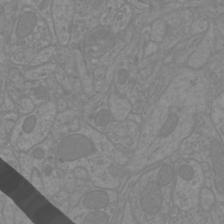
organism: Mouse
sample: Cortical neurons